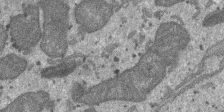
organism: Human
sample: Lung epithelial cells infected with SARS-CoV-2